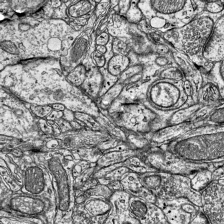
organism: Mouse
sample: Visual Cortex